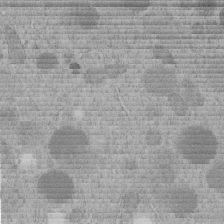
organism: C. elegans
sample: C. elegans embryo early stage